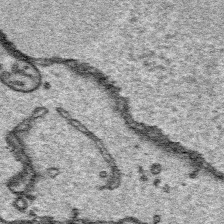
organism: Platynereis dumerilii